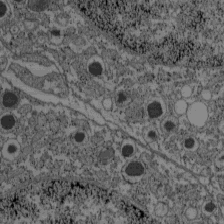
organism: C57BL Mouse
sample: Pancreatic islet